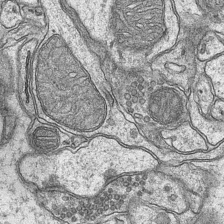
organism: Mouse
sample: CA1 Hippocampus